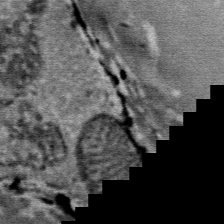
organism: Mouse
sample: Mouse Salivary gland